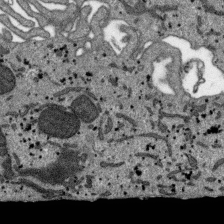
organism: Human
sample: Lung epithelial cells, uninfected (mock) control